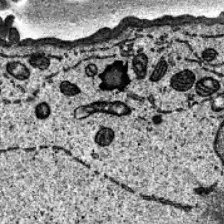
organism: Human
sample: HeLa cells